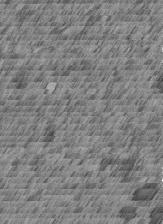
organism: C. elegans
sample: C. elegans embryo early stage